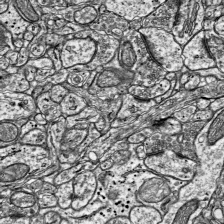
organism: Mouse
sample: Visual Cortex